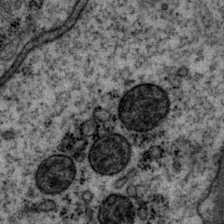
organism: P. pacificus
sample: Pharynx